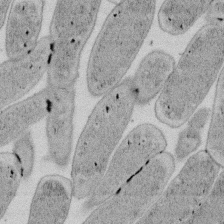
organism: E. coli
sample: Bacterial nucleoid